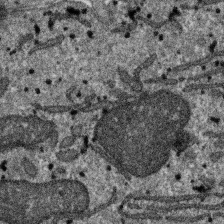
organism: Human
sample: Lung epithelial cells infected with SARS-CoV-2